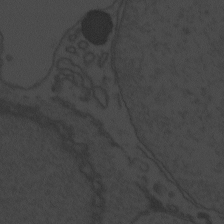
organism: Zebrafish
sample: Macrophage infected with Toxoplasma gondii